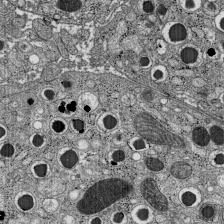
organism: C57BL Mouse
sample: Pancreatic islet